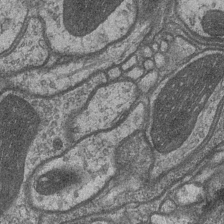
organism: Drosophila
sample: Optic medulla